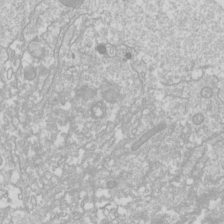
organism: Drosophila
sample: Cell division; meiosis; drosophila spermatocytes